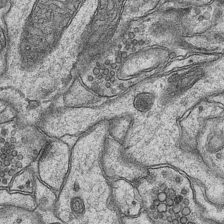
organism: Mouse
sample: CA1 Hippocampus